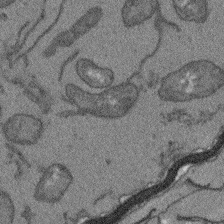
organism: Arabidopsis thaliana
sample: Root tip